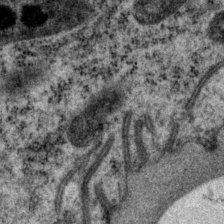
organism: P. pacificus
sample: Pharynx